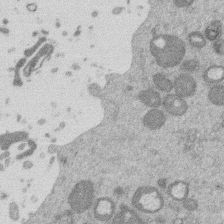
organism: Mouse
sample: Dividing mouse embryo 1 cell stage